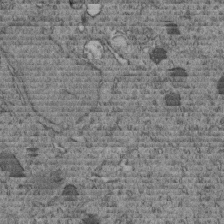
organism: C. elegans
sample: C. elegans embryo early stage